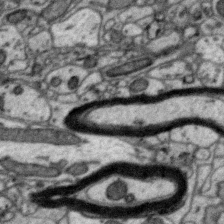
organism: Zebra finch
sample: Brain